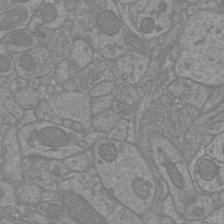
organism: Mouse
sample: Cortical neurons